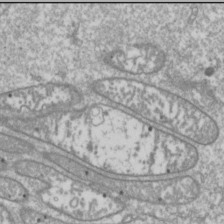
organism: Drosophila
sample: Cell division; meiosis; drosophila spermatocytes